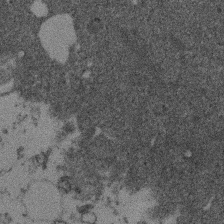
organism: Mouse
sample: Dividing mouse embryo 1 cell stage